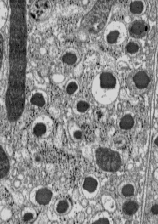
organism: C57BL Mouse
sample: Pancreatic islet